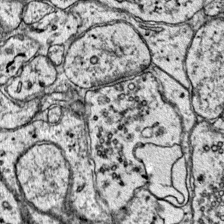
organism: Mouse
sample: Primary visual cortex